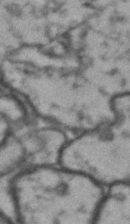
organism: Drosophila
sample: Brain